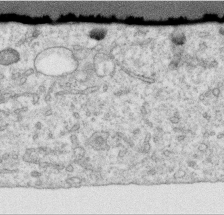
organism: Human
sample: Centriole in RPE cells